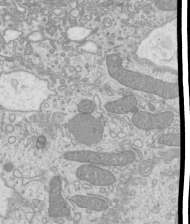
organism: Mouse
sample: Cilia; mouse epididymis